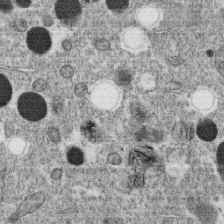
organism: C. elegans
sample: C. elegans oocyte; sperm cells